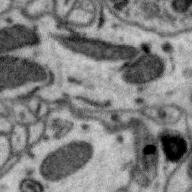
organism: Zebra finch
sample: Brain